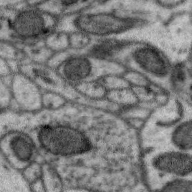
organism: Zebra finch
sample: Brain